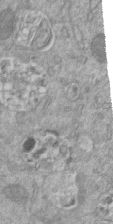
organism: Mouse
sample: ED-1 cell nuclei; centrioles